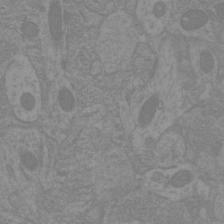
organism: Mouse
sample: Cortical neurons